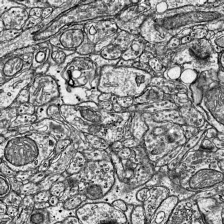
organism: Mouse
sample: Visual Cortex